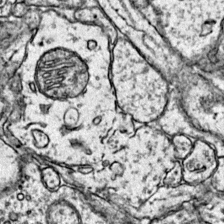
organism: Mouse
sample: Primary visual cortex